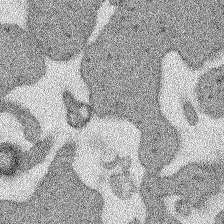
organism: Human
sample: HeLa cells